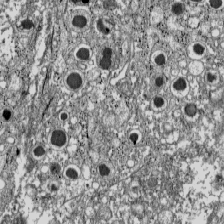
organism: C57BL Mouse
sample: Pancreatic islet